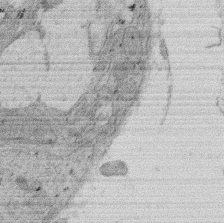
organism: Rat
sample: Salivary granule